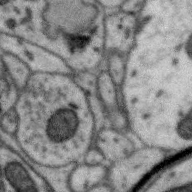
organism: Zebra finch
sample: Brain